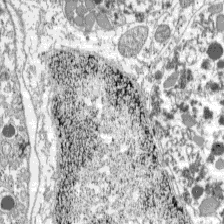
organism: C57BL Mouse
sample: Pancreatic islet